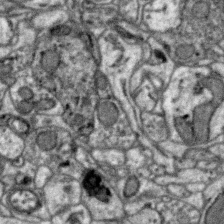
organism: Zebra finch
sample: Brain